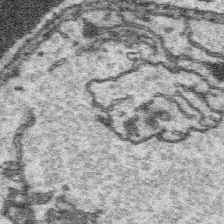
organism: Platynereis dumerilii